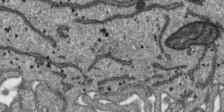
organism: Human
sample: Lung epithelial cells, uninfected (mock) control